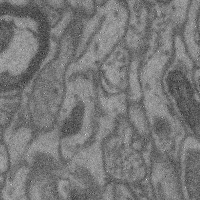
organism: Mouse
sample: Cerebral cortex